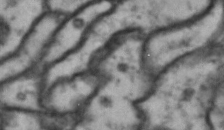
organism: Drosophila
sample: Brain